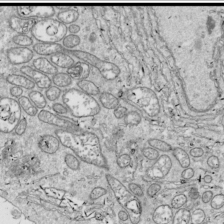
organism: Drosophila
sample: Cell division; meiosis; drosophila spermatocytes